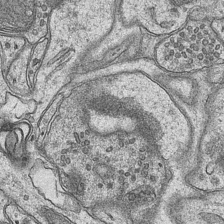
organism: Mouse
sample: CA1 Hippocampus